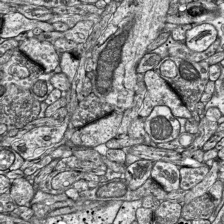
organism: Mouse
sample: Visual Cortex